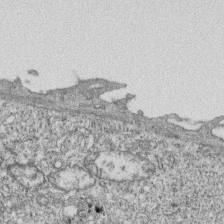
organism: Human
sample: HeLa cell HIV synapse